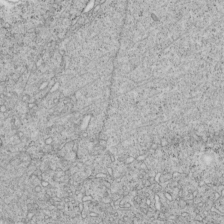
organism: C. elegans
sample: C. elegans embryo early stage